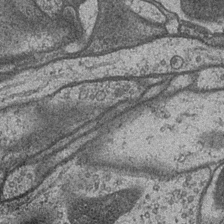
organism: Drosophila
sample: Optic medulla